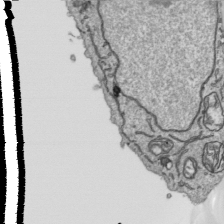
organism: Human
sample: Mitochondria in HCT116 cells